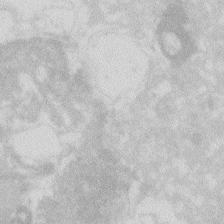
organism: Zebrafish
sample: Macrophage